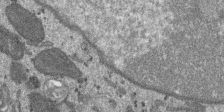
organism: Human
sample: Lung epithelial cells infected with SARS-CoV-2